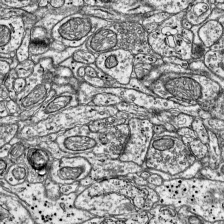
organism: Mouse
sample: Visual Cortex